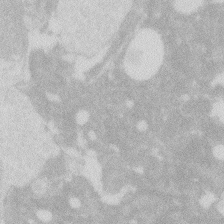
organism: Zebrafish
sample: Macrophage